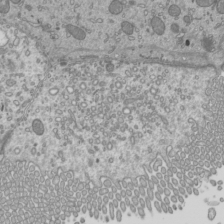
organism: Mouse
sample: Cilia; mouse epididymis